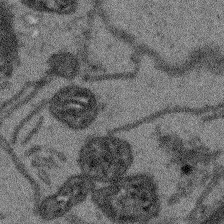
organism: Arabidopsis thaliana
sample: Root tip